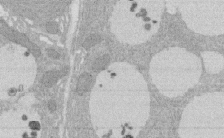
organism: Rat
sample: Salivary granule